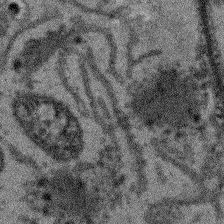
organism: Arabidopsis thaliana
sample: Root tip